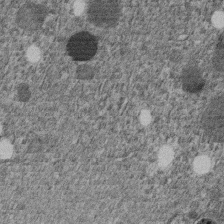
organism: C. elegans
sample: C. elegans embryo early stage